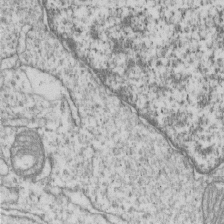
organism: Human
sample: MDA-MB-231 cells